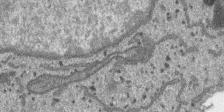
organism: Human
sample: Lung epithelial cells infected with SARS-CoV-2